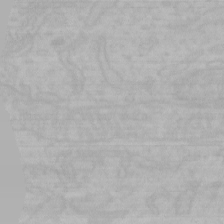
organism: Mouse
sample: Choroid plexus